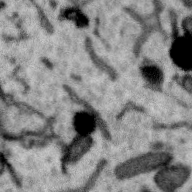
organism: Zebra finch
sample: Brain